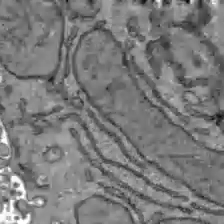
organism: C57BL Mouse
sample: Liver